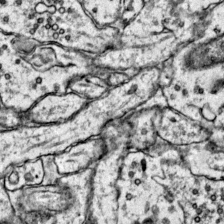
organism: Mouse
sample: Primary visual cortex